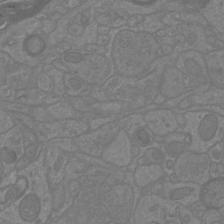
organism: Mouse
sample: Cortical neurons